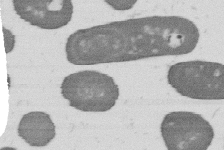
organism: B. subtilis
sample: Bacterial spore